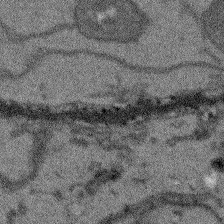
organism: Arabidopsis thaliana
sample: Root tip